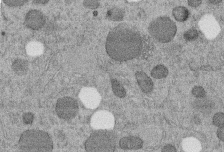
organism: C. elegans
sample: C. elegans embryo early stage